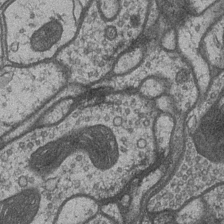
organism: Drosophila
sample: Optic medulla